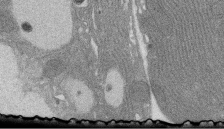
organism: Rat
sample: Salivary granule